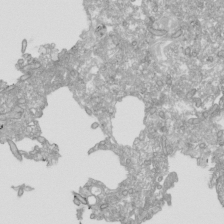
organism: Human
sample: Mitochondria in HCT116 cells